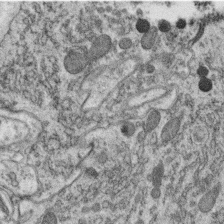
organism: C. elegans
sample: C. elegans oocyte; sperm cells